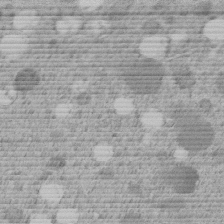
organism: C. elegans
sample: C. elegans embryo early stage